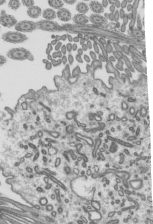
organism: Mouse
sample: Mouse epididymis efferent ductule cilia